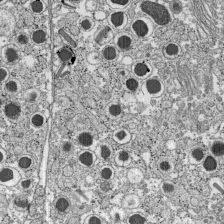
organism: C57BL Mouse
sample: Pancreatic islet